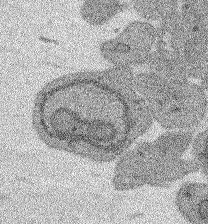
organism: Human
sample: HeLa cells